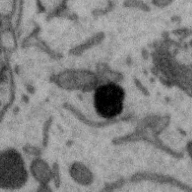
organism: Zebra finch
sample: Brain